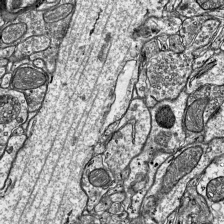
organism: Mouse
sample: Visual Cortex